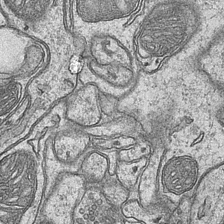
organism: Mouse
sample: CA1 Hippocampus